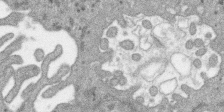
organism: Human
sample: Lung epithelial cells infected with SARS-CoV-2